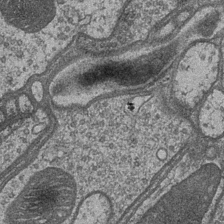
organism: Drosophila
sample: Optic medulla